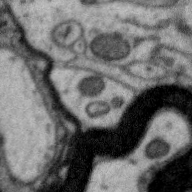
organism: Zebra finch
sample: Brain